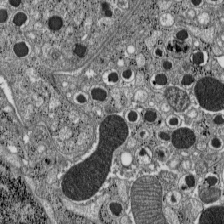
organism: C57BL Mouse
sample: Pancreatic islet